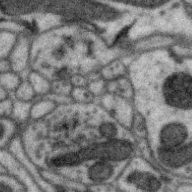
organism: Zebra finch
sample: Brain